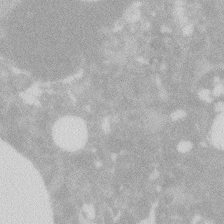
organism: Zebrafish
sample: Macrophage